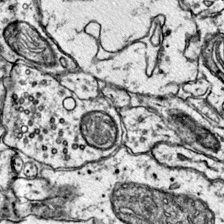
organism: Mouse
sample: Primary visual cortex